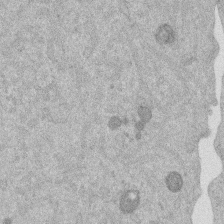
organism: Mouse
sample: Dividing mouse embryo 1 cell stage